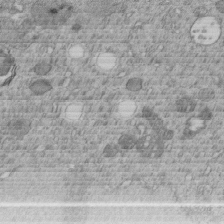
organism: C. elegans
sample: C. elegans embryo early stage